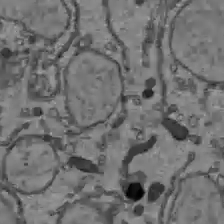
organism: C57BL Mouse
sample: Liver